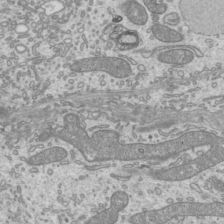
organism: Mouse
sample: Cilia; mouse epididymis